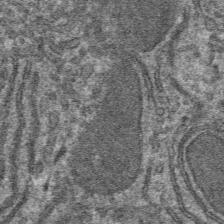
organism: Mouse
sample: Mouse hepatocytes